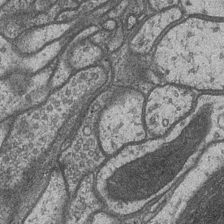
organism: Drosophila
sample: Optic medulla